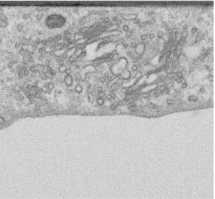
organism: Human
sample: Centriole in RPE cells